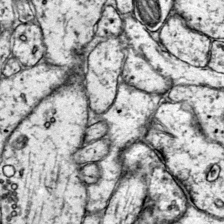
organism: Mouse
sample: Primary visual cortex